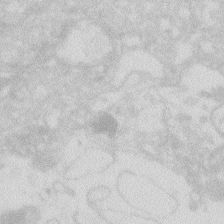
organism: Zebrafish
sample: Macrophage